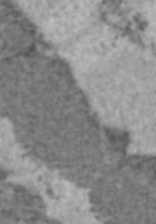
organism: C57BL Mouse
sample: Heart